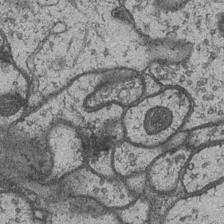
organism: Drosophila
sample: Optic medulla